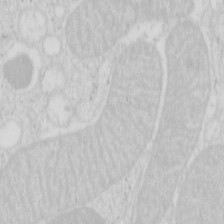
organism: Mouse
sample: Pancreas